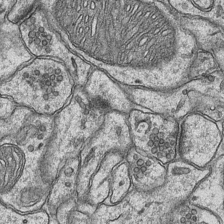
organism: Mouse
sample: CA1 Hippocampus